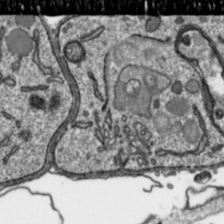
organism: Toxoplasma gondii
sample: Parasites in a vacuole inside a host cell